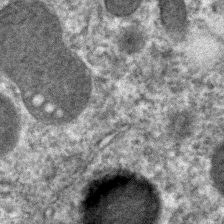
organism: C. elegans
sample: C. elegans embryo